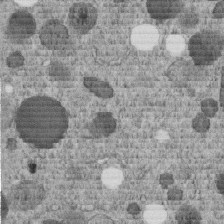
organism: C. elegans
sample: C. elegans embryo early stage